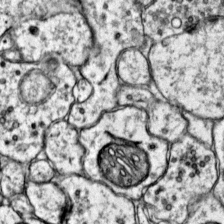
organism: Mouse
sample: Primary visual cortex